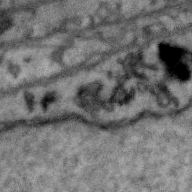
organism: Zebra finch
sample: Brain